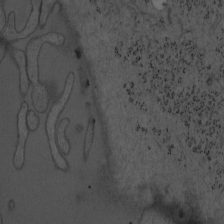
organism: Mouse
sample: OT-I killer T cells with ID8 ovarian cancer cells